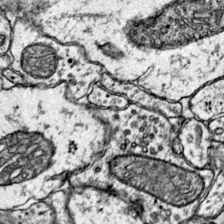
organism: Mouse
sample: Primary visual cortex